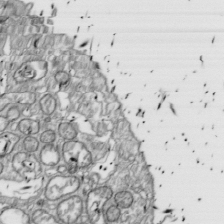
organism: Drosophila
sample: Cell division; meiosis; drosophila spermatocytes